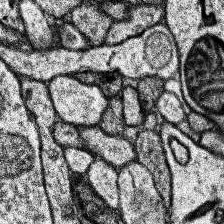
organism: Human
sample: Temporal Lobe